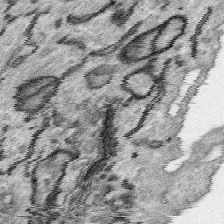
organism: Human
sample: HeLa cells